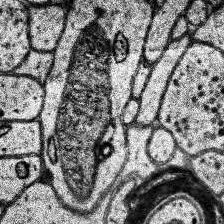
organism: Human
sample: Temporal Lobe